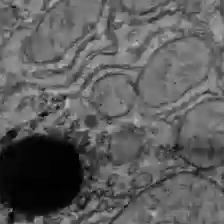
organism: C57BL Mouse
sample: Liver